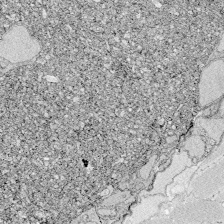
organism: Zebrafish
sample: Whole-Brain